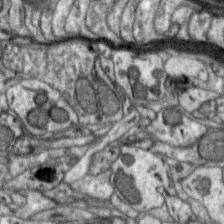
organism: Zebra finch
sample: Brain